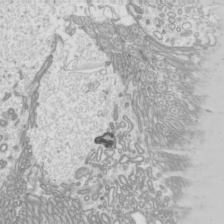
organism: Mouse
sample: Cilia; mouse epididymis